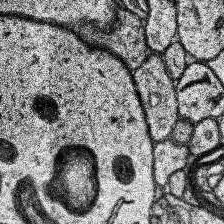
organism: Human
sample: Temporal Lobe